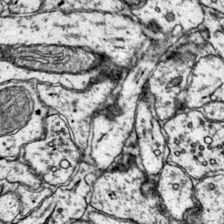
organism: Mouse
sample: Primary visual cortex